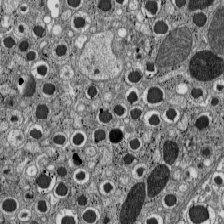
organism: C57BL Mouse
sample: Pancreatic islet